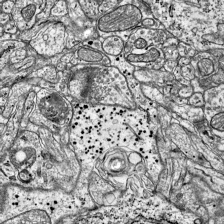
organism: Mouse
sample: Visual Cortex